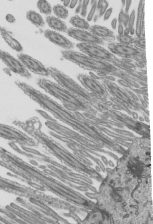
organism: Mouse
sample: Mouse epididymis efferent ductule cilia